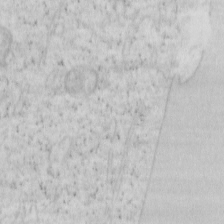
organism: Human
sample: HeLa cells